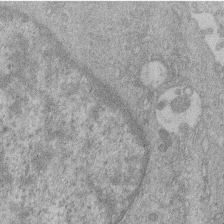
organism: Human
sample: Macrophage cells